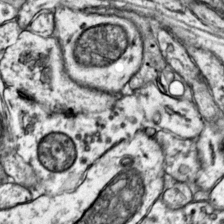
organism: Mouse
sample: Primary visual cortex